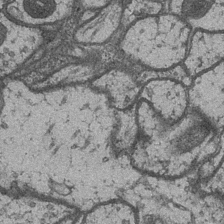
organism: Drosophila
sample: Optic medulla